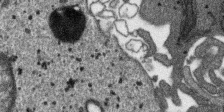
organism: Human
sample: Lung epithelial cells infected with SARS-CoV-2